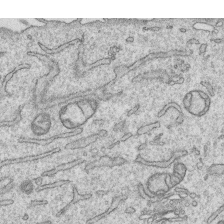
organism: Human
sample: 1205lu cells